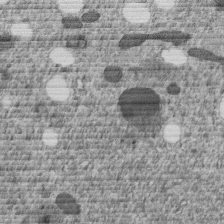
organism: C. elegans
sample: C. elegans embryo early stage